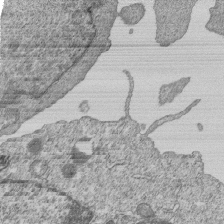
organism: Human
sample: MDA-MB-231 cells